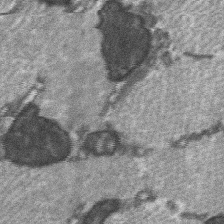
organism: C57BL Mouse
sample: Soleus